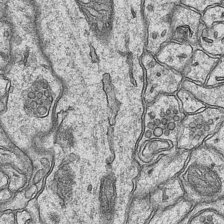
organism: Mouse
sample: CA1 Hippocampus